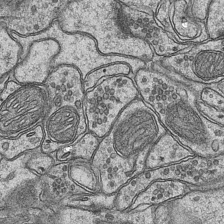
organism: Mouse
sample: CA1 Hippocampus